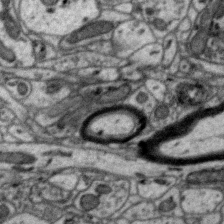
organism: Zebra finch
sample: Brain